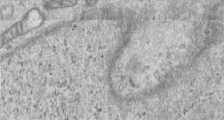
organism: Human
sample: Centriole in RPE cells